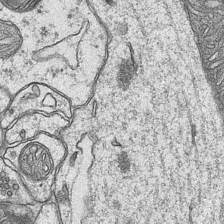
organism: Mouse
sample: CA1 Hippocampus